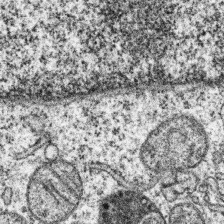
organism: Human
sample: HeLa cells